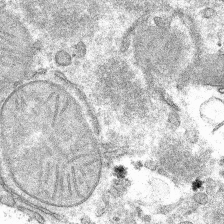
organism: Mouse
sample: Mouse hepatocytes